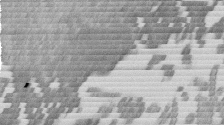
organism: Mouse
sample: Dividing mouse embryo 1 cell stage